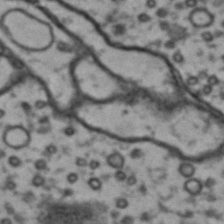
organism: Drosophila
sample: Brain